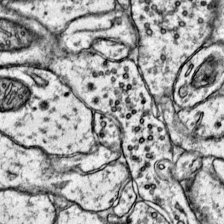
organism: Mouse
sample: Primary visual cortex